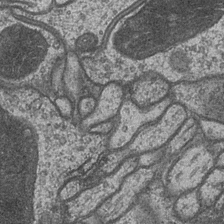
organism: Drosophila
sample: Optic medulla